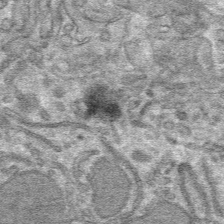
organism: Mouse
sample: Mouse hepatocytes